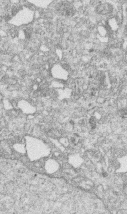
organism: Human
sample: HeLa cell HIV synapse